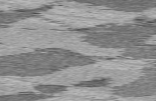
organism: C57BL Mouse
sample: Heart